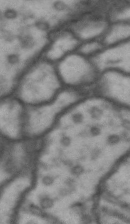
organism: Drosophila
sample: Brain